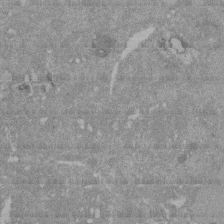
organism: Mouse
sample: ED-1 cell nuclei; centrioles